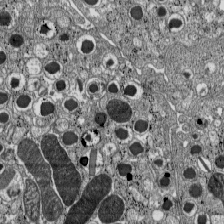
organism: C57BL Mouse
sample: Pancreatic islet